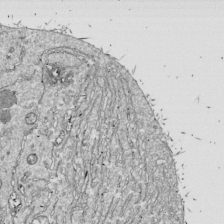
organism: Drosophila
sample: Cell division; meiosis; drosophila spermatocytes